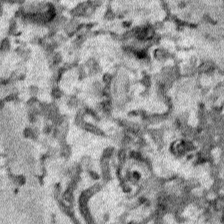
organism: Human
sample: Mitochondria in HCT116 cells